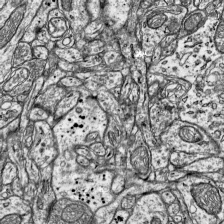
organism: Mouse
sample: Visual Cortex